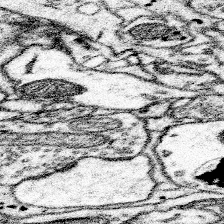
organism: Mouse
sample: Somatosensory cortex neuropil